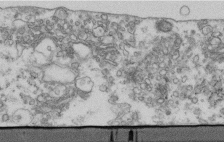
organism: Human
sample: Centriole in fibroblast cells